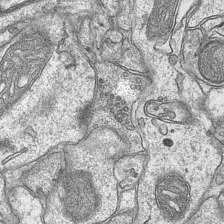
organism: Mouse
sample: CA1 Hippocampus